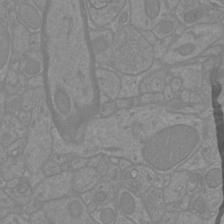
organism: Mouse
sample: Cortical neurons